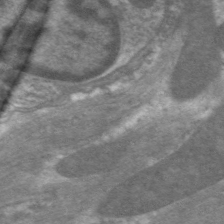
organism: C. elegans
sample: Pharynx